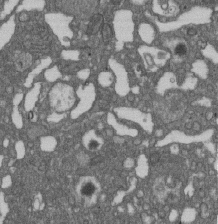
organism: Drosophila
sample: Nephrocyte